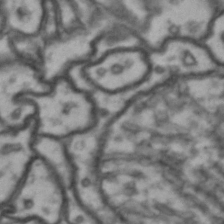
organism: Drosophila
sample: Brain